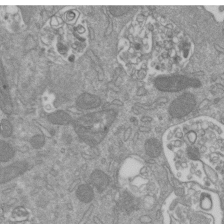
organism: Mouse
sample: ED-1 cell nuclei; centrioles